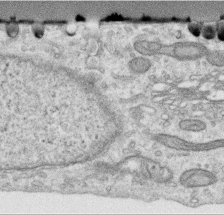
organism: Human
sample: Centriole in RPE cells